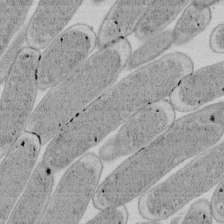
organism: E. coli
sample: Bacterial nucleoid